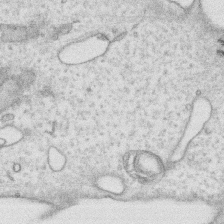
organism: Human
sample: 1205lu cells